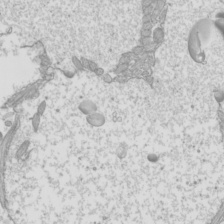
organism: Mouse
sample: Cilia; mouse epididymis